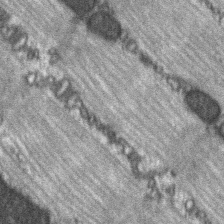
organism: C57BL Mouse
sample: Soleus